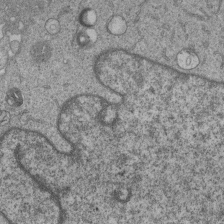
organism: Human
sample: MDA-MB-231 cells